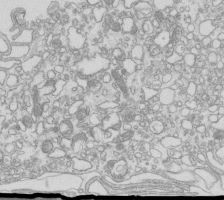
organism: Mouse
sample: Macrophages